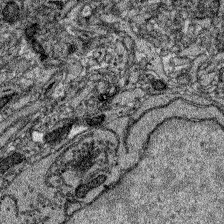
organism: Zebrafish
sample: Larval olfactory bulb